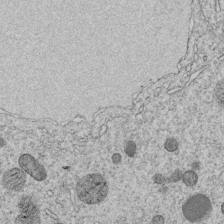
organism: C. elegans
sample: C. elegans embryo early stage